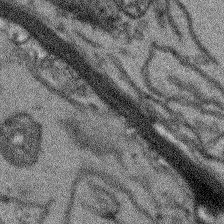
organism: Arabidopsis thaliana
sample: Root tip